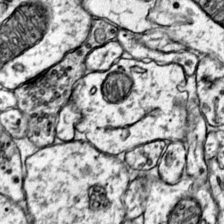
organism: Mouse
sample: Primary visual cortex